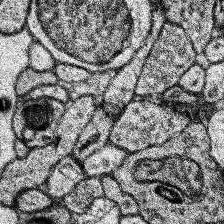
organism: Human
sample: Temporal Lobe